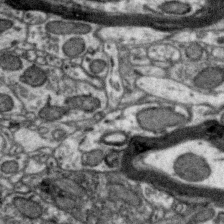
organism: Zebra finch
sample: Brain